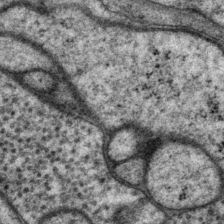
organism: P. pacificus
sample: Pharynx